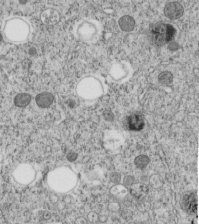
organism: C. elegans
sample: C. elegans embryo early stage